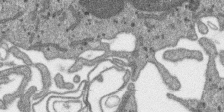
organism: Human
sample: Lung epithelial cells infected with SARS-CoV-2